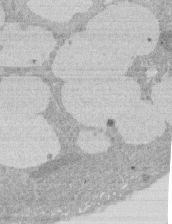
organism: Rat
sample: Salivary granule